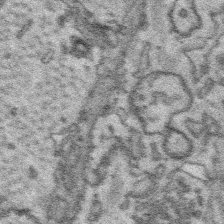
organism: Platynereis dumerilii